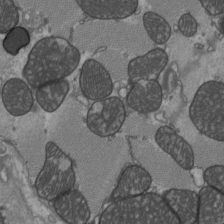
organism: C57BL Mouse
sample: Heart